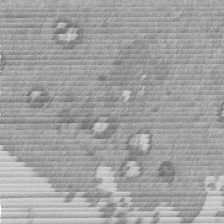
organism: Mouse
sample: Dividing mouse embryo 1 cell stage